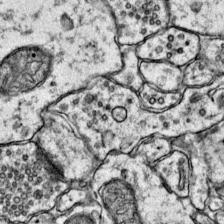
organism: Mouse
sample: Primary visual cortex